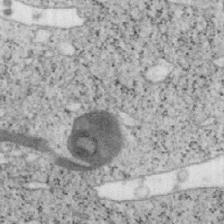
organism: Mouse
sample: OT-I killer T cells with ID8 ovarian cancer cells